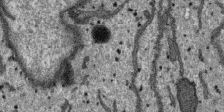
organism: Human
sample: Lung epithelial cells, uninfected (mock) control